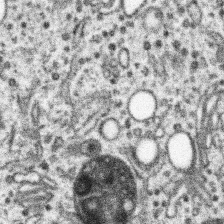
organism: Human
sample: HeLa cells